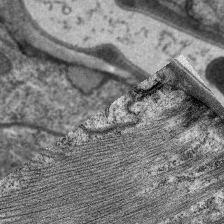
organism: C. elegans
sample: Pharynx